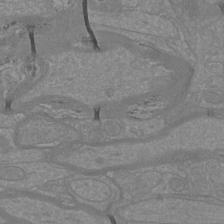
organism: Mouse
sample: Cortical neurons